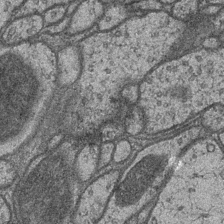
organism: Drosophila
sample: Optic medulla